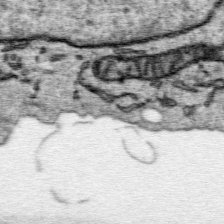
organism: Human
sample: HeLa cells